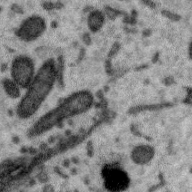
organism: Zebra finch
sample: Brain